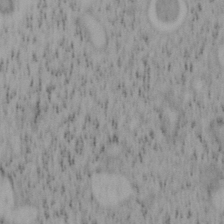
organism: Mouse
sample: OT-I killer T cells with ID8 ovarian cancer cells